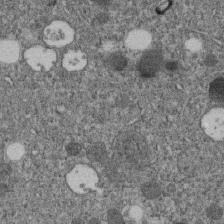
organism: C. elegans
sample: C. elegans embryo early stage